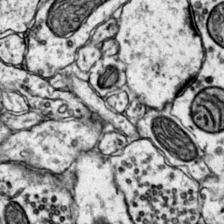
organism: Mouse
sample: Primary visual cortex